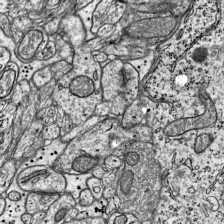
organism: Mouse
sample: Visual Cortex